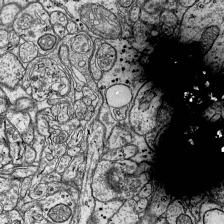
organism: Mouse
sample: Visual Cortex